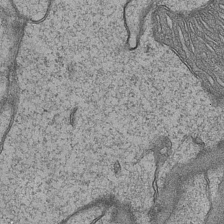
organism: Mouse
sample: CA1 Hippocampus